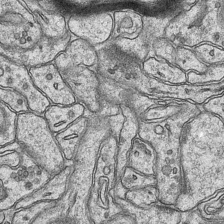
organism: Mouse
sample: CA1 Hippocampus